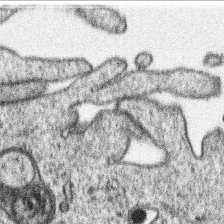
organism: Human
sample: HeLa cells